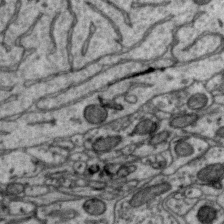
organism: Zebra finch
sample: Brain